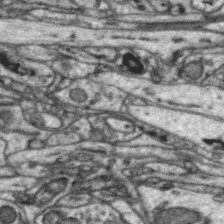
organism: Zebra finch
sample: Brain